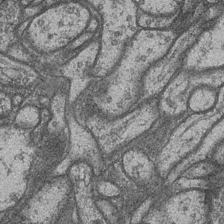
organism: Drosophila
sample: Optic medulla